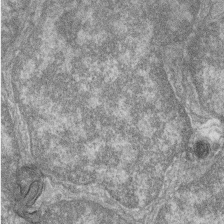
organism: Zebrafish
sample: Cilia; retinal pigment epithelium